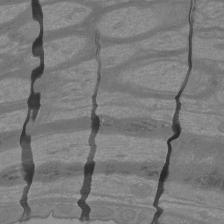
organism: Mouse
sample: Cortical neurons